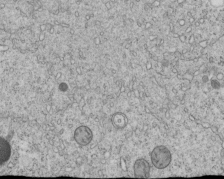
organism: C. elegans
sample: C. elegans embryo early stage